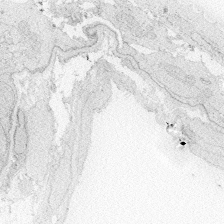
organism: Zebrafish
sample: Whole-Brain